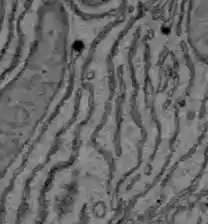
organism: C57BL Mouse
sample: Liver